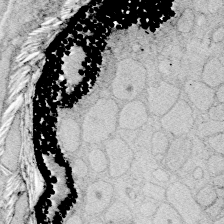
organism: Zebrafish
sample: Whole-Brain